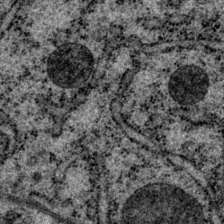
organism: P. pacificus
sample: Pharynx